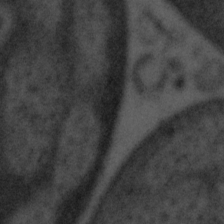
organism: Tuwongella immobilis